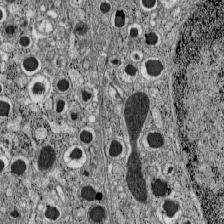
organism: C57BL Mouse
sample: Pancreatic islet